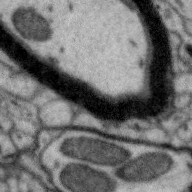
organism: Zebra finch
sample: Brain